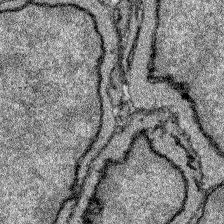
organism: Zebrafish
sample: Larval olfactory bulb